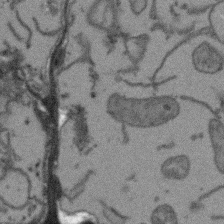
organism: Arabidopsis thaliana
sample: Root tip